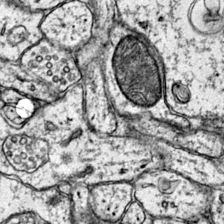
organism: Mouse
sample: Primary visual cortex